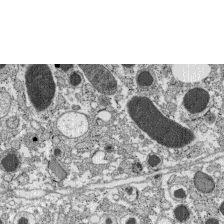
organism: C57BL Mouse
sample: Pancreatic islet